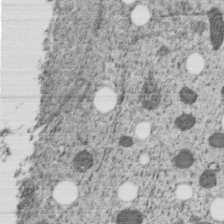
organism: C. elegans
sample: C. elegans embryo early stage